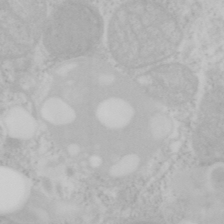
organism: Mouse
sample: OT-I killer T cells with ID8 ovarian cancer cells